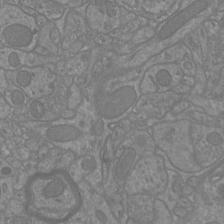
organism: Mouse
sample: Cortical neurons